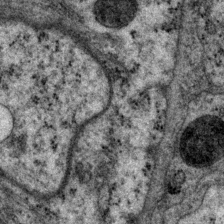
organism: P. pacificus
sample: Pharynx